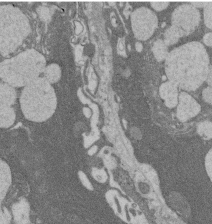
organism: Rat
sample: Salivary granule